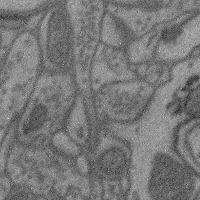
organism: Mouse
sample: Cerebral cortex